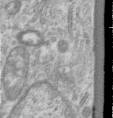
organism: Human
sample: Centriole in RPE cells